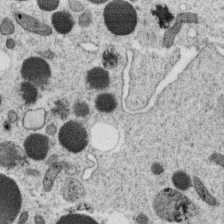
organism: C. elegans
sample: C. elegans oocyte; sperm cells